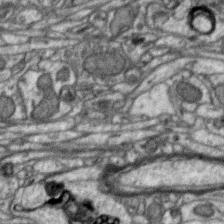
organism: Zebra finch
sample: Brain